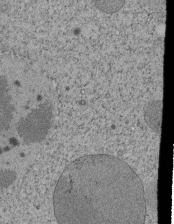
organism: Tetrahymena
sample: Cilia in tetrahymena